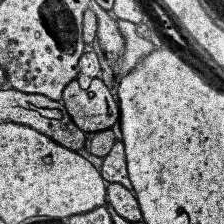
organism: Human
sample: Temporal Lobe